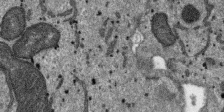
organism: Human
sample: Lung epithelial cells, uninfected (mock) control